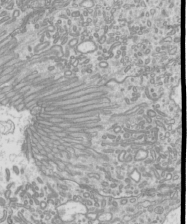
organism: Mouse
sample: Cilia; mouse epididymis